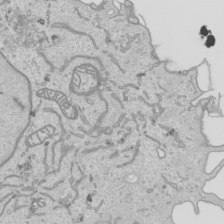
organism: Human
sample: Mitochondria in HCT116 cells